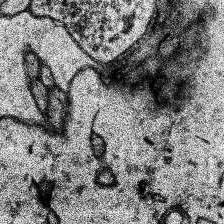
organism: Human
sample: Temporal Lobe